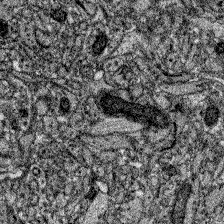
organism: Zebrafish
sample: Larval olfactory bulb